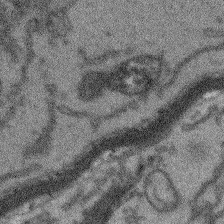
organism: Arabidopsis thaliana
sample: Root tip